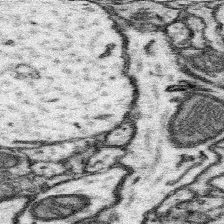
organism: Mouse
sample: Somatosensory cortex neuropil